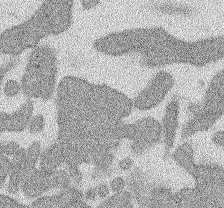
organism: Human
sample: HeLa cells